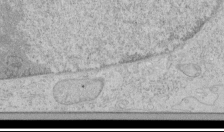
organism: Human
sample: Mitochondria in HCT116 cells